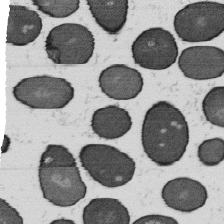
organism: B. subtilis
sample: Bacterial spore